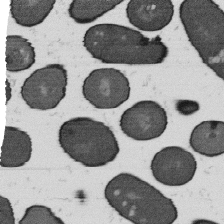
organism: B. subtilis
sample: Bacterial spore